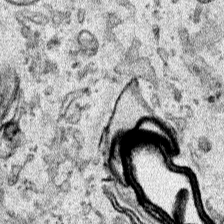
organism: Human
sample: Mitochondria in HCT116 cells